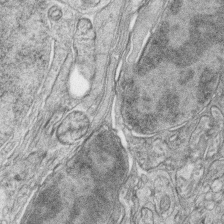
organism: Zebrafish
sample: synaptic ribbons in rod cells and cone cells